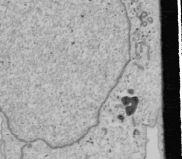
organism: Human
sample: Mitochondria in U2OS cells